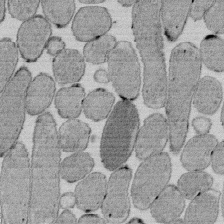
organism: E. coli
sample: Bacterial nucleoid